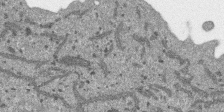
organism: Human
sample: Lung epithelial cells infected with SARS-CoV-2